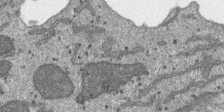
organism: Human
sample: Lung epithelial cells infected with SARS-CoV-2